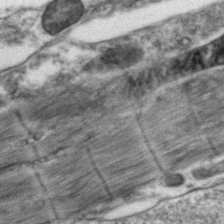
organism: Zebrafish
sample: Zebrafish embryo